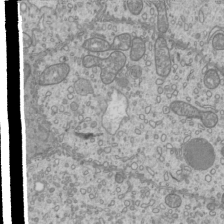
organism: Mouse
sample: Cilia; mouse epididymis